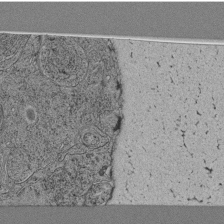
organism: C. elegans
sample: C. elegans pharynx